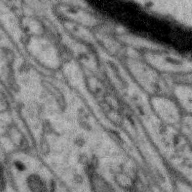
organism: Zebra finch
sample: Brain